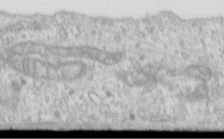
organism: Human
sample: Centriole in RPE cells